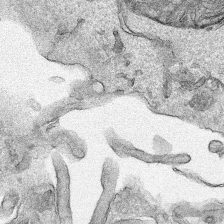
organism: Human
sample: Mitochondria in HCT116 cells